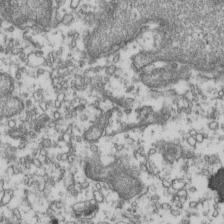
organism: Human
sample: Activated Jurkat CD4+ T cells